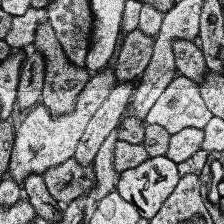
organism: Human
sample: Temporal Lobe